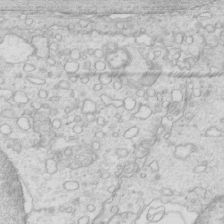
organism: Mouse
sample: Multiciliated cells